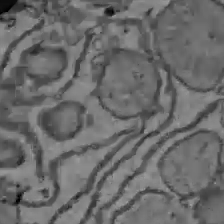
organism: C57BL Mouse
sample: Liver